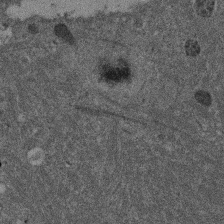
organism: Mouse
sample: Dividing mouse embryo 1 cell stage